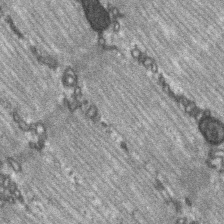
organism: C57BL Mouse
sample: Soleus